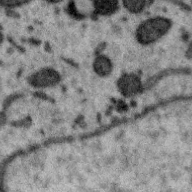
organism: Zebra finch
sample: Brain